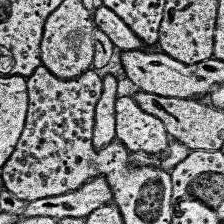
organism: Human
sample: Temporal Lobe